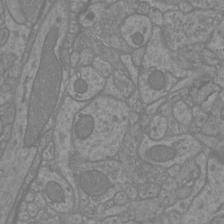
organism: Mouse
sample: Cortical neurons